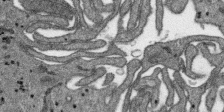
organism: Human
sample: Lung epithelial cells, uninfected (mock) control